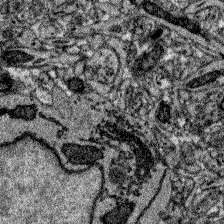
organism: Zebrafish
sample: Larval olfactory bulb